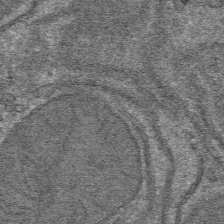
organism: Mouse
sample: Mouse hepatocytes